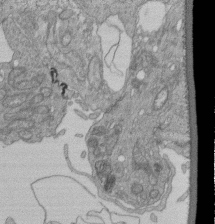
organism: Human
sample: Retinal organoid Rod and Cone cells